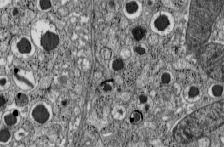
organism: C57BL Mouse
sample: Pancreatic islet